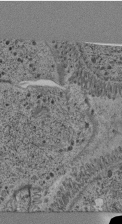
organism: C. elegans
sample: C. elegans pharynx